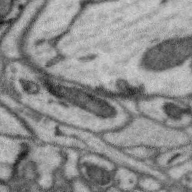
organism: Zebra finch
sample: Brain